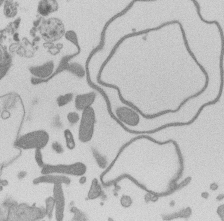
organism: Mouse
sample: Dividing mouse embryo 1 cell stage